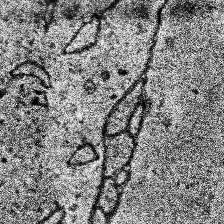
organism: Human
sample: Temporal Lobe